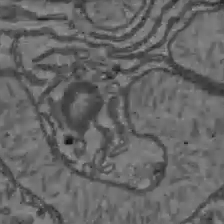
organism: C57BL Mouse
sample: Liver